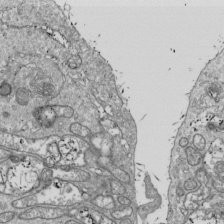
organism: Drosophila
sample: Cell division; meiosis; drosophila spermatocytes